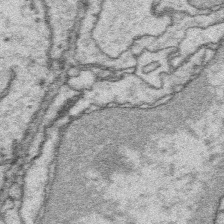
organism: Platynereis dumerilii